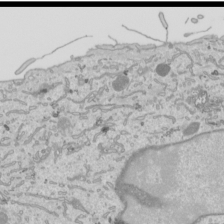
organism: Human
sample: Mitochondria in HCT116 cells